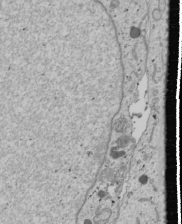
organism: Human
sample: Mitochondria in U2OS cells